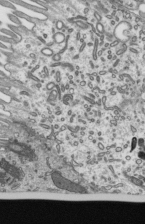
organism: Mouse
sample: Mouse epididymis efferent ductule cilia